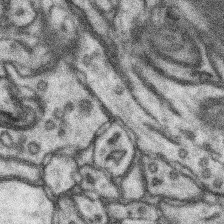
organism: Mouse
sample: Somatosensory cortex neuropil